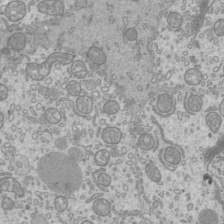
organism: Mouse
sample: Cilia; mouse epididymis